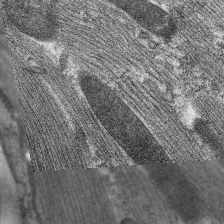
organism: C. elegans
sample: Pharynx